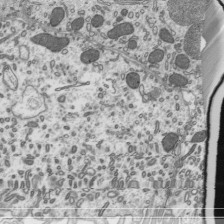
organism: Mouse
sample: Mouse epididymis efferent ductule cilia